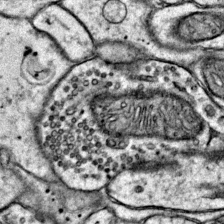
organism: Mouse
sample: Primary visual cortex